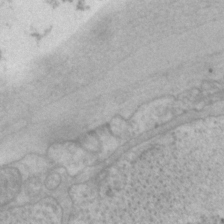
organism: P. pacificus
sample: Pharynx